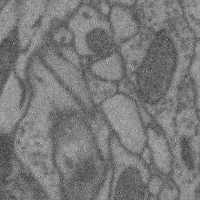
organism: Mouse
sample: Cerebral cortex